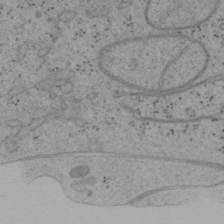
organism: Human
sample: HeLa cells